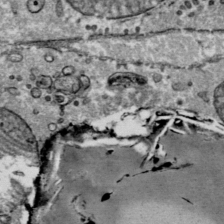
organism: Mouse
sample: Mouse Salivary gland